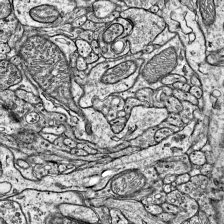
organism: Mouse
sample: Visual Cortex